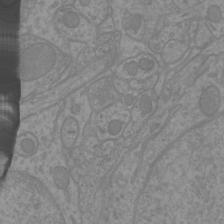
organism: Mouse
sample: Cortical neurons